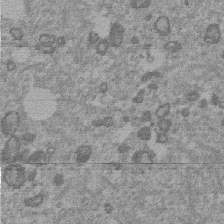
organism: Mouse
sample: Dividing mouse embryo 1 cell stage